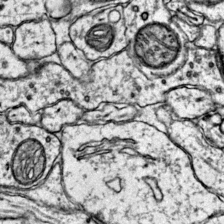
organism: Mouse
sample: Primary visual cortex